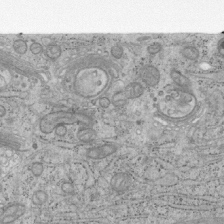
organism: Human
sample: HeLa cells